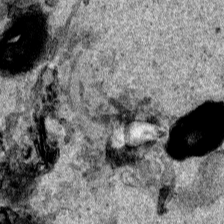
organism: Human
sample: Mitochondria in HCT116 cells